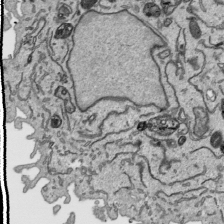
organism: Human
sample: Mitochondria in HCT116 cells